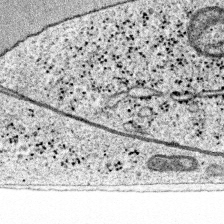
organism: Human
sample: HeLa cells